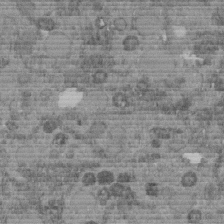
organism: C. elegans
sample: C. elegans embryo early stage